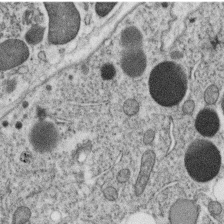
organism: C. elegans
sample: C. elegans oocyte; sperm cells